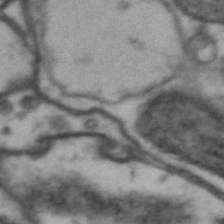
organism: Drosophila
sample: Brain